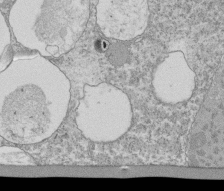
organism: Tetrahymena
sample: Cilia in tetrahymena